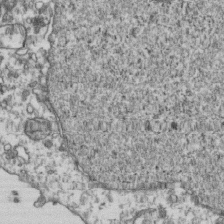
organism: Human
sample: Activated Jurkat CD4+ T cells